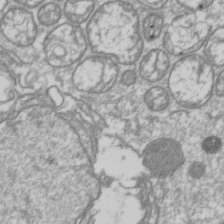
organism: Drosophila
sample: Cell division; meiosis; drosophila spermatocytes